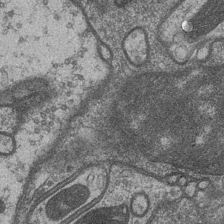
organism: Drosophila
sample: Optic medulla